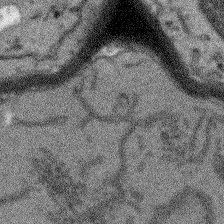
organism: Arabidopsis thaliana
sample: Root tip